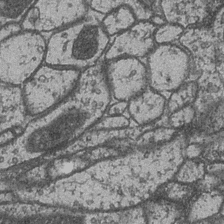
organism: Drosophila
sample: Optic medulla